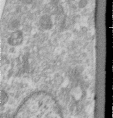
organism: Human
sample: Centriole in RPE cells